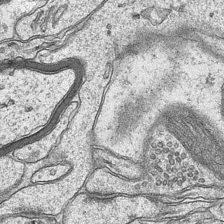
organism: Mouse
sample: CA1 Hippocampus